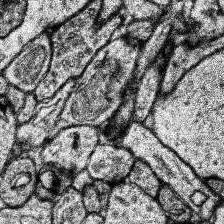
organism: Human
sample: Temporal Lobe